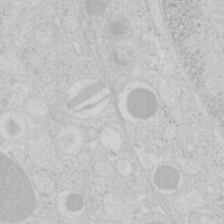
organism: Mouse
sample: Pancreas